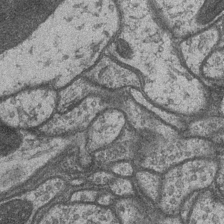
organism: Drosophila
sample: Optic medulla